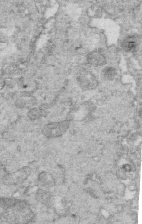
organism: Mouse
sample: Multiciliated cells